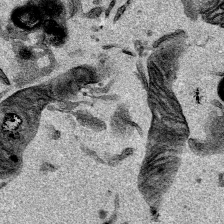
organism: Mouse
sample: Cancer cell death in ED-1 cells